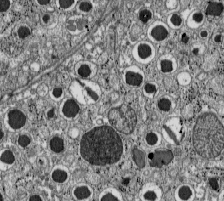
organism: C57BL Mouse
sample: Pancreatic islet